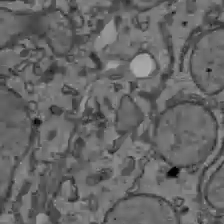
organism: C57BL Mouse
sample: Liver